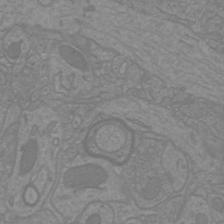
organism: Mouse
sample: Cortical neurons